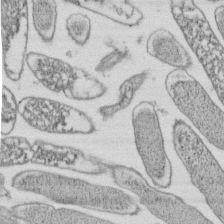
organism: E. coli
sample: Bacterial nucleoid